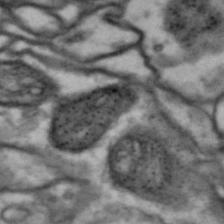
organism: Drosophila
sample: Brain